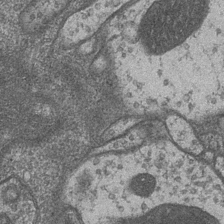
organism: Drosophila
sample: Optic medulla